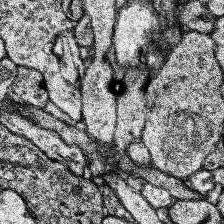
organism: Human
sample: Temporal Lobe